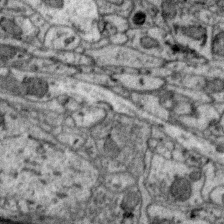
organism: Zebra finch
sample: Brain